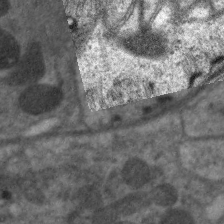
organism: C. elegans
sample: Pharynx